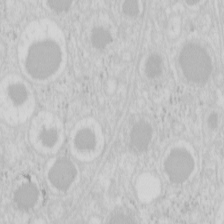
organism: Mouse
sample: Pancreas